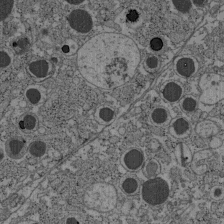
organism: C57BL Mouse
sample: Pancreatic islet